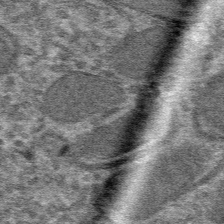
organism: Mouse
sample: Mouse hepatocytes